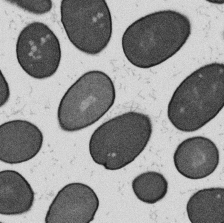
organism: B. subtilis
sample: Bacterial spore